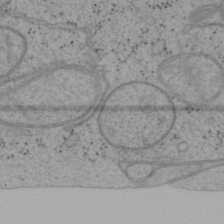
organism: Human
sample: HeLa cells